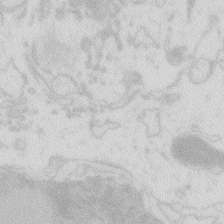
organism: Zebrafish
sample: Macrophage